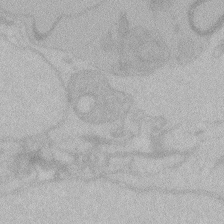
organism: Zebrafish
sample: Macrophage infected with Toxoplasma gondii